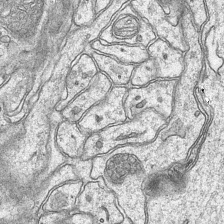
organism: Mouse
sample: CA1 Hippocampus